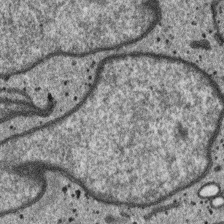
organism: Human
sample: Lung epithelial cells infected with SARS-CoV-2